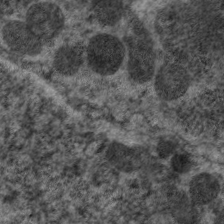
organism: C. elegans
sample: Pharynx